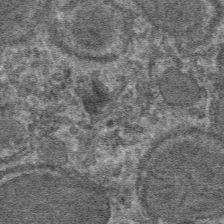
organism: Mouse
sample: Mouse hepatocytes